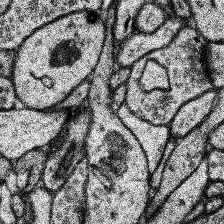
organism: Human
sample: Temporal Lobe